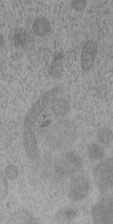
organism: C. elegans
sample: C. elegans embryo early stage